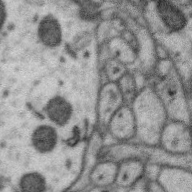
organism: Zebra finch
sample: Brain